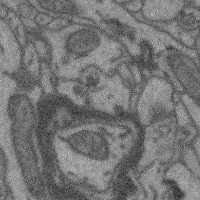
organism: Mouse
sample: Cerebral cortex